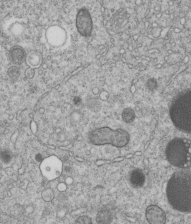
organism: C. elegans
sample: C. elegans embryo early stage